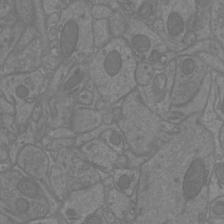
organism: Mouse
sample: Cortical neurons